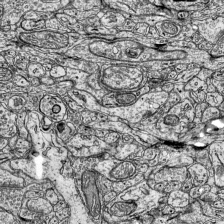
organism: Mouse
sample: Visual Cortex